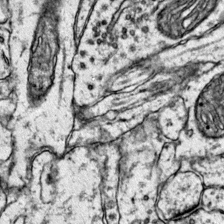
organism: Mouse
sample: Primary visual cortex